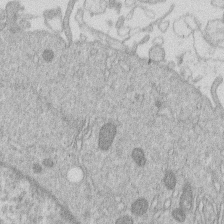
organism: Human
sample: Macrophage cells